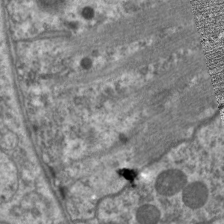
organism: C. elegans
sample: Pharynx